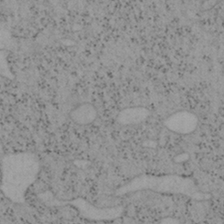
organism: Mouse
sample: OT-I killer T cells with ID8 ovarian cancer cells